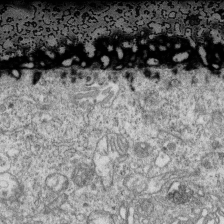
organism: Human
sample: HeLa cell HIV synapse